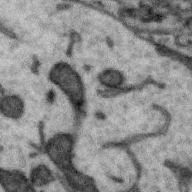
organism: Zebra finch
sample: Brain